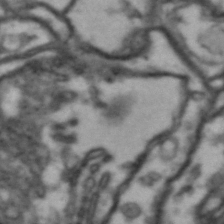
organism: Drosophila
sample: Brain